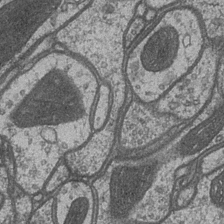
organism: Drosophila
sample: Optic medulla